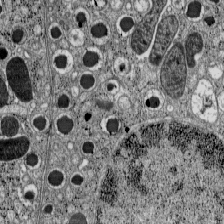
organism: C57BL Mouse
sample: Pancreatic islet